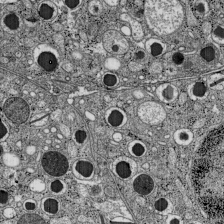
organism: C57BL Mouse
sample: Pancreatic islet